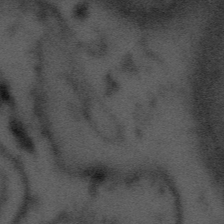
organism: Tuwongella immobilis